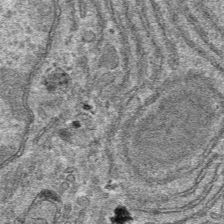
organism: Mouse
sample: Mouse hepatocytes